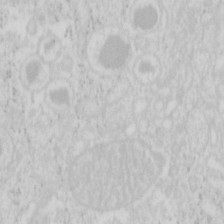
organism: Mouse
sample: Pancreas